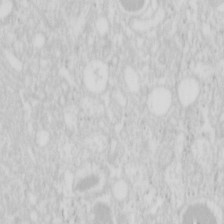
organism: Mouse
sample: Pancreas